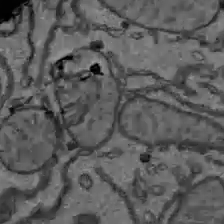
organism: C57BL Mouse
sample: Liver